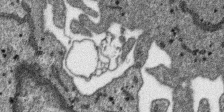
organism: Human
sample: Lung epithelial cells infected with SARS-CoV-2